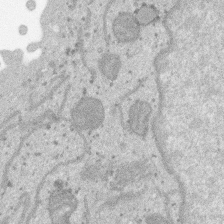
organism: Human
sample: Lung epithelial cells infected with SARS-CoV-2